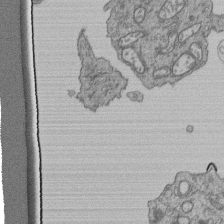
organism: Human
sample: Retinal organoid Rod and Cone cells